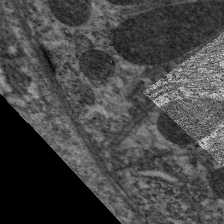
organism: C. elegans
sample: Pharynx